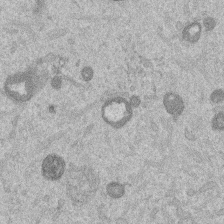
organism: Mouse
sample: Dividing mouse embryo 1 cell stage